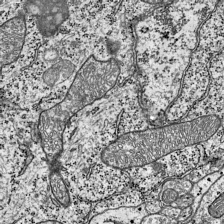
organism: Mouse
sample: Visual Cortex